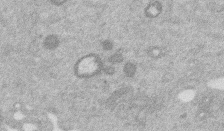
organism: Mouse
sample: Dividing mouse embryo 1 cell stage